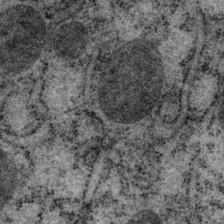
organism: P. pacificus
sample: Pharynx